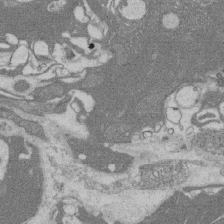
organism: Rat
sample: Salivary granule